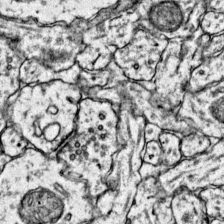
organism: Mouse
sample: Primary visual cortex